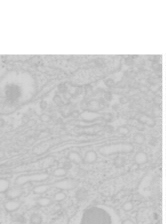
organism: Mouse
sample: Pancreas